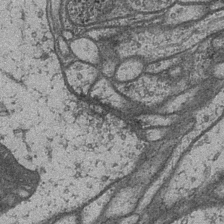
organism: Drosophila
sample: Optic medulla